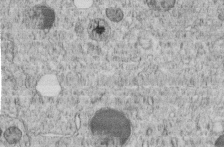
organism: C. elegans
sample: C. elegans embryo early stage